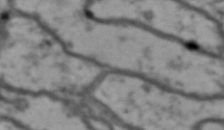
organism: Drosophila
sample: Brain